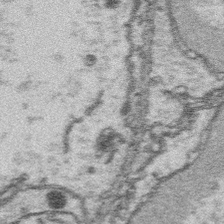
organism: Platynereis dumerilii